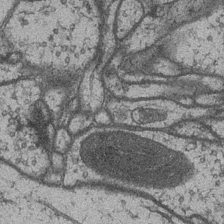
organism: Drosophila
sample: Optic medulla